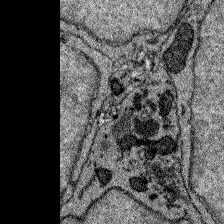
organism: Zebrafish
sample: Larval olfactory bulb